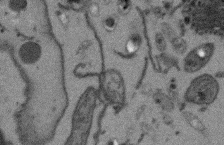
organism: Arabidopsis thaliana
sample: Root tip